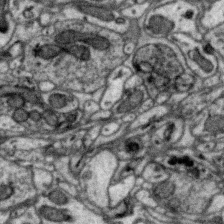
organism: Zebra finch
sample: Brain